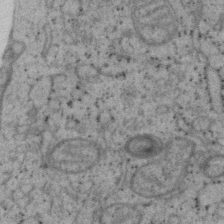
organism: Human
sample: HeLa cells